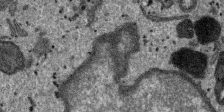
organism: Human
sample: Lung epithelial cells, uninfected (mock) control